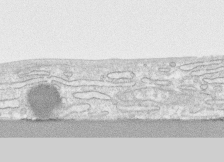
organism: Human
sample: CRL-1474